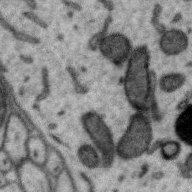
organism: Zebra finch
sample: Brain